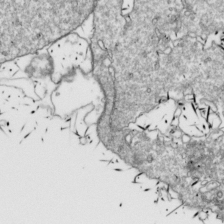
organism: Drosophila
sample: Cell division; meiosis; drosophila spermatocytes